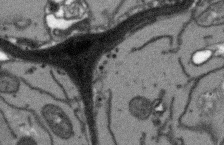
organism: Arabidopsis thaliana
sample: Root tip